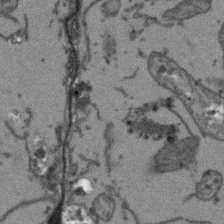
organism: Arabidopsis thaliana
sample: Root tip